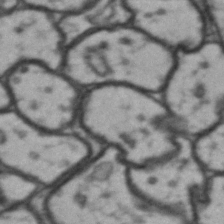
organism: Drosophila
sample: Brain